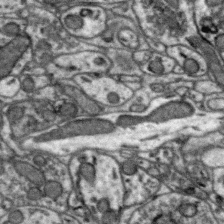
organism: Zebra finch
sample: Brain